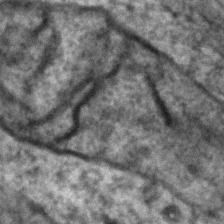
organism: Zebrafish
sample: Zebrafish embryo